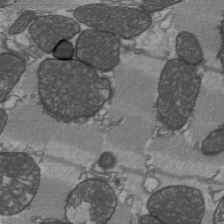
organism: C57BL Mouse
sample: Heart